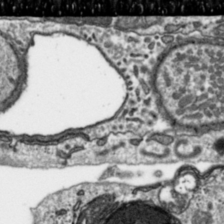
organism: Toxoplasma gondii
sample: Parasites in a vacuole inside a host cell